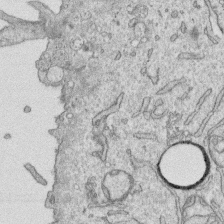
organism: Human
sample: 1205lu cells